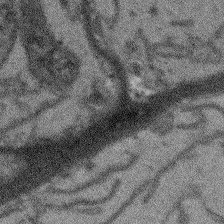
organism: Arabidopsis thaliana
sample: Root tip